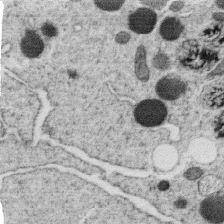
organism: C. elegans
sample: C. elegans oocyte; sperm cells